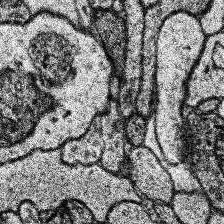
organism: Human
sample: Temporal Lobe